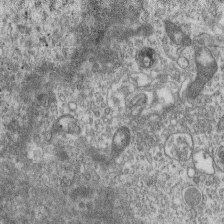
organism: Mouse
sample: Centriole in ependymal cells